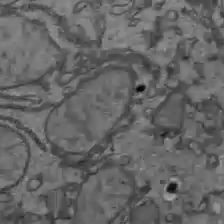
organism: C57BL Mouse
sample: Liver